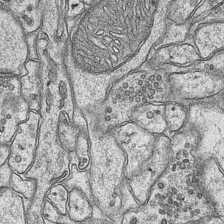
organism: Mouse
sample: CA1 Hippocampus